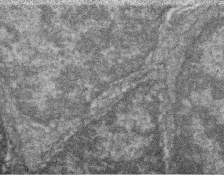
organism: Zebrafish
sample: Cilia; retinal pigment epithelium